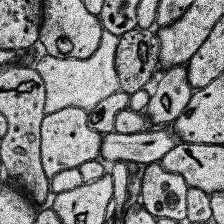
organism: Human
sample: Temporal Lobe